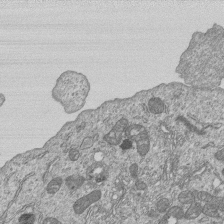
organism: Human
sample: MDA-MB-231 cells